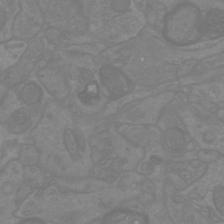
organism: Mouse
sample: Cortical neurons